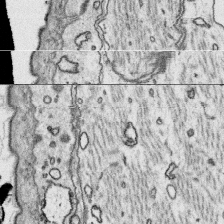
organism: Platynereis dumerilii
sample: Parapodia